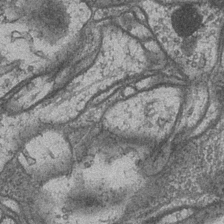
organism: Drosophila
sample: Optic medulla